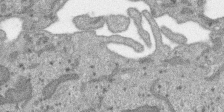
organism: Human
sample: Lung epithelial cells infected with SARS-CoV-2